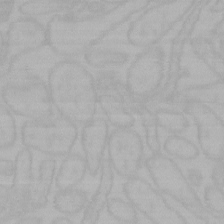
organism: Mouse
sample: Choroid plexus